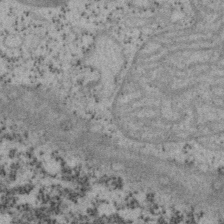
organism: Human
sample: HeLa cells